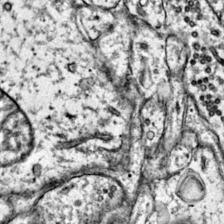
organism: Mouse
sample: Primary visual cortex